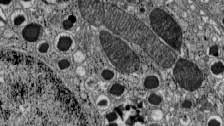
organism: C57BL Mouse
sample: Pancreatic islet